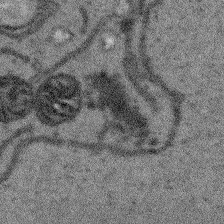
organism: Arabidopsis thaliana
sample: Root tip